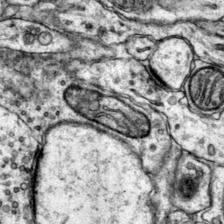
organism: Mouse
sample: Primary visual cortex